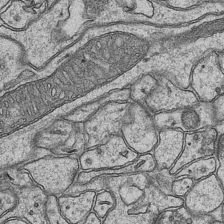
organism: Mouse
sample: CA1 Hippocampus